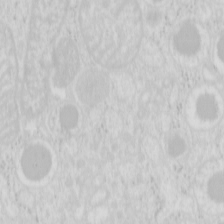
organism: Mouse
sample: Pancreas